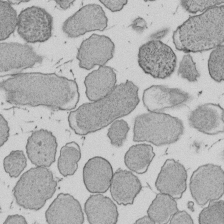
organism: E. coli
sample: Bacterial nucleoid